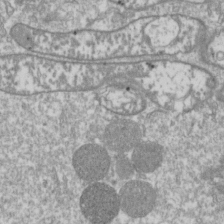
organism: Drosophila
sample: Cell division; meiosis; drosophila spermatocytes